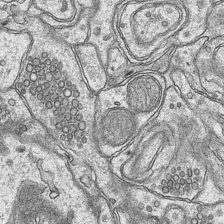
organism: Mouse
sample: CA1 Hippocampus